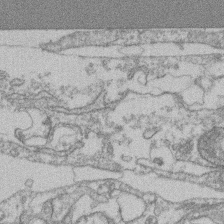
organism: Mouse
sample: T cell stromal cell synapse